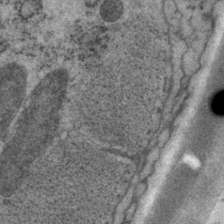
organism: P. pacificus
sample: Pharynx